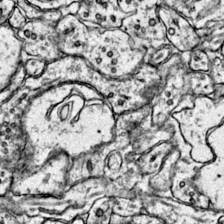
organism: Mouse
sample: Primary visual cortex